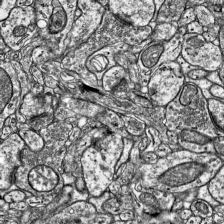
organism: Mouse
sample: Visual Cortex